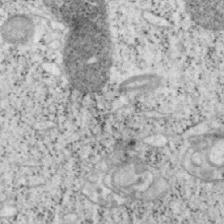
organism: Mouse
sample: OT-I killer T cells with ID8 ovarian cancer cells